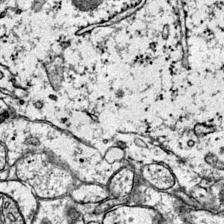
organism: Mouse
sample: Primary visual cortex